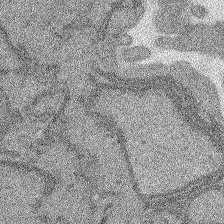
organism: Human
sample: HeLa cells